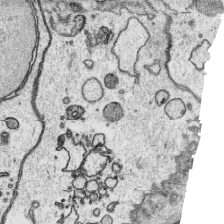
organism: Platynereis dumerilii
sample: Parapodia